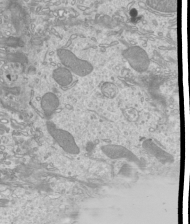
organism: Mouse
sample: Cilia; mouse epididymis